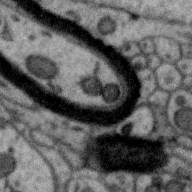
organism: Zebra finch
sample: Brain